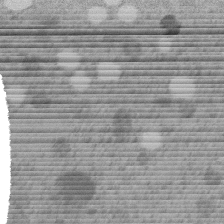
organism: C. elegans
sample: C. elegans embryo early stage